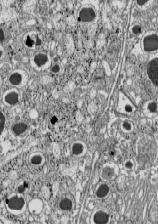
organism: C57BL Mouse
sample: Pancreatic islet